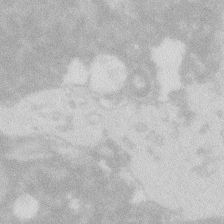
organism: Zebrafish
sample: Macrophage